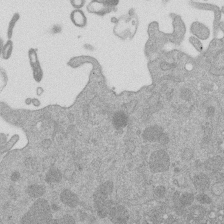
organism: Mouse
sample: Dividing mouse embryo 1 cell stage